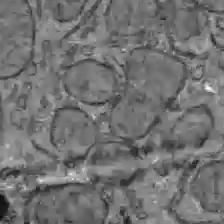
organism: C57BL Mouse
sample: Liver